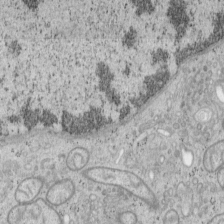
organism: Mouse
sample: OT-I killer T cells with ID8 ovarian cancer cells